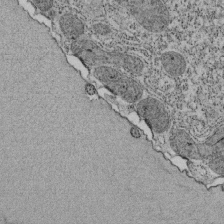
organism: Tetrahymena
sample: Cilia in tetrahymena